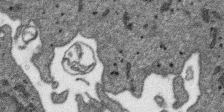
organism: Human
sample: Lung epithelial cells infected with SARS-CoV-2